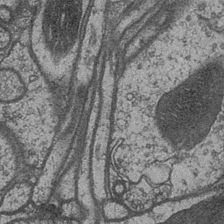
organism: Drosophila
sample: Optic medulla